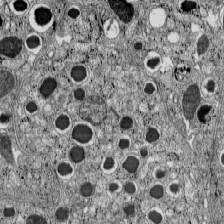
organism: C57BL Mouse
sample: Pancreatic islet